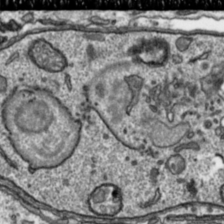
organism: Toxoplasma gondii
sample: Parasites in a vacuole inside a host cell